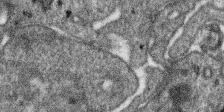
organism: Human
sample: Lung epithelial cells infected with SARS-CoV-2